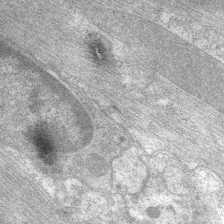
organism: C. elegans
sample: Pharynx